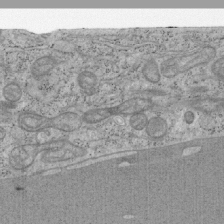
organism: Human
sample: HeLa cells